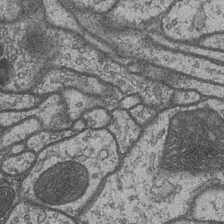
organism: Drosophila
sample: Optic medulla